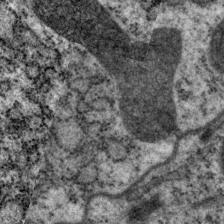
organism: P. pacificus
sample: Pharynx